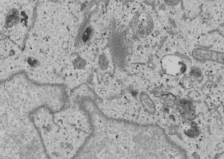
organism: Human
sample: Mitochondria in U2OS cells